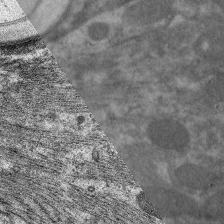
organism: C. elegans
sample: Pharynx